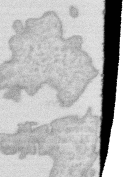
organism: Human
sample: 1205lu cells